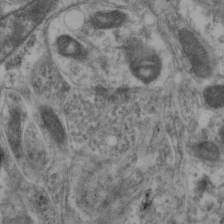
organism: Mouse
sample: Neocortex